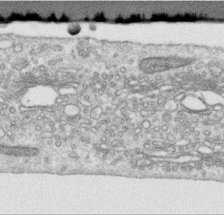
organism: Human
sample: Centriole in RPE cells